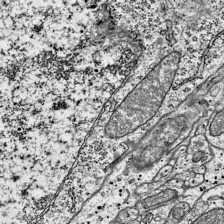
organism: Mouse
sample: Visual Cortex